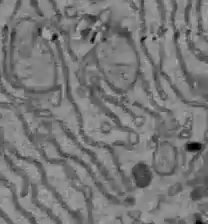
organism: C57BL Mouse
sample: Liver